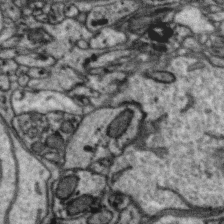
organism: Zebra finch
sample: Brain